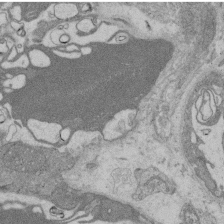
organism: Rat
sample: Salivary granule